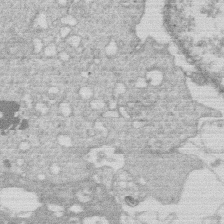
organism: Human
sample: Macrophage cells